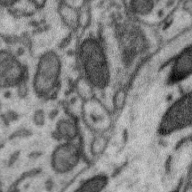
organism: Zebra finch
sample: Brain